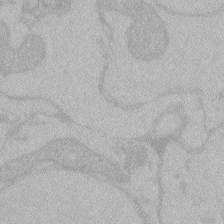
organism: Zebrafish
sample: Macrophage infected with Toxoplasma gondii